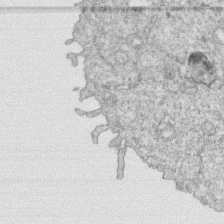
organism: Human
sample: HeLa cell HIV synapse